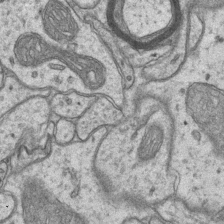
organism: Mouse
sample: CA1 Hippocampus